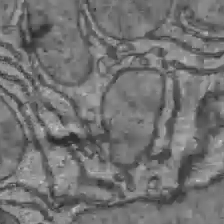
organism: C57BL Mouse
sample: Liver